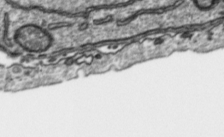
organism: Toxoplasma gondii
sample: Parasites in a vacuole inside a host cell